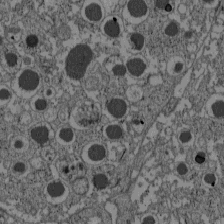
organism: C57BL Mouse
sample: Pancreatic islet